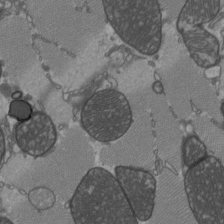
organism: C57BL Mouse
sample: Heart